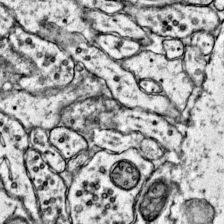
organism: Mouse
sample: Primary visual cortex